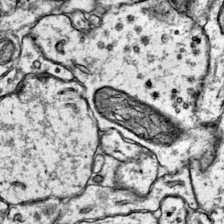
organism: Mouse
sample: Primary visual cortex